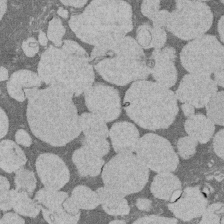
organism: Rat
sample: Salivary granule